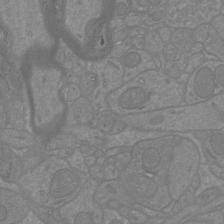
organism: Mouse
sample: Cortical neurons